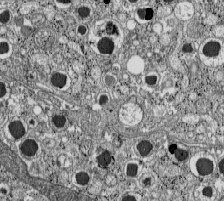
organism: C57BL Mouse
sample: Pancreatic islet